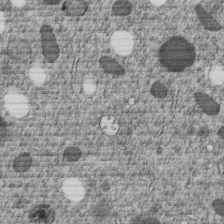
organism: C. elegans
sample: C. elegans embryo early stage